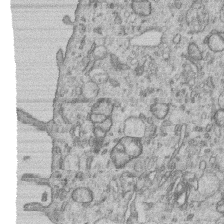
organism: Human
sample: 1205lu cells